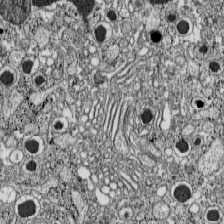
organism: C57BL Mouse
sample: Pancreatic islet